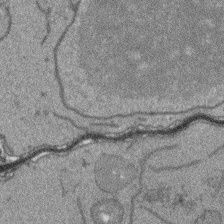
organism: Arabidopsis thaliana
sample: Root tip